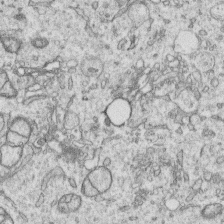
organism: Human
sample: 1205lu cells